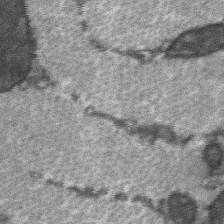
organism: C57BL Mouse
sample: Soleus